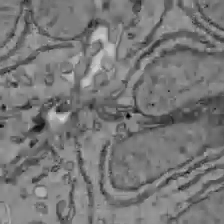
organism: C57BL Mouse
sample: Liver